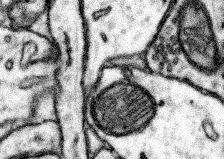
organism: Mouse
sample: Somatosensory cortex neuropil